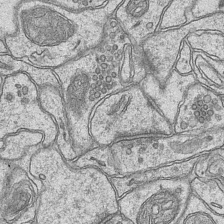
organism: Mouse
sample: CA1 Hippocampus